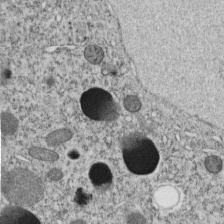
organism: C. elegans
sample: C. elegans embryo early stage